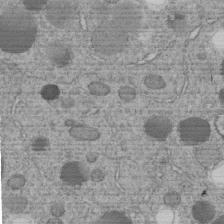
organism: C. elegans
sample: C. elegans embryo early stage